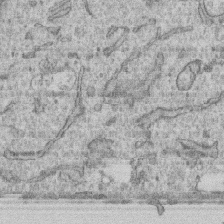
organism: Human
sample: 1205lu cells